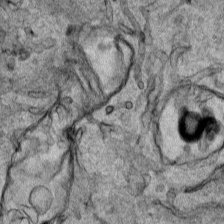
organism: Human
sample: Mitochondria in HCT116 cells